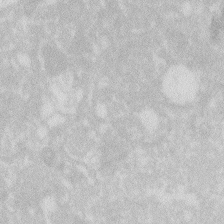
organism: Zebrafish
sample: Macrophage